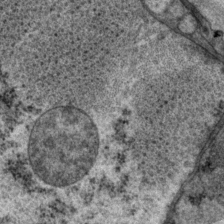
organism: P. pacificus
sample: Pharynx